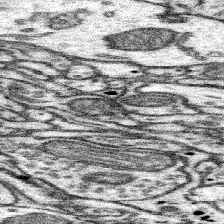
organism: Mouse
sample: Somatosensory cortex neuropil